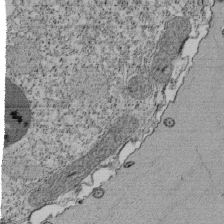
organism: Tetrahymena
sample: Cilia in tetrahymena